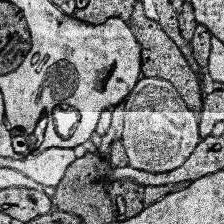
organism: Human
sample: Temporal Lobe